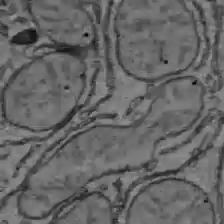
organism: C57BL Mouse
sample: Liver